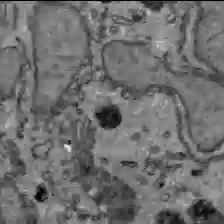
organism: C57BL Mouse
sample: Liver